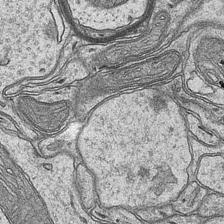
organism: Mouse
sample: CA1 Hippocampus